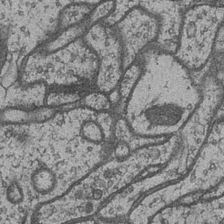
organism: Drosophila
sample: Optic medulla